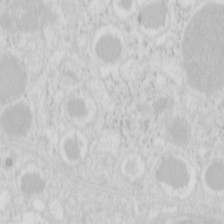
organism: Mouse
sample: Pancreas